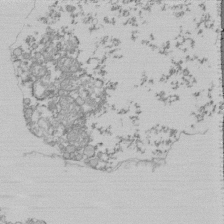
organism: Mouse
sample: Activated Pmel transgenic CD8+ T Cells